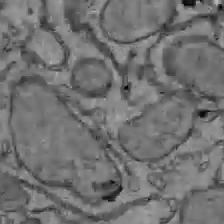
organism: C57BL Mouse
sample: Liver